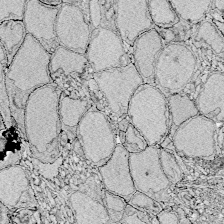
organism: Zebrafish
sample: Whole-Brain